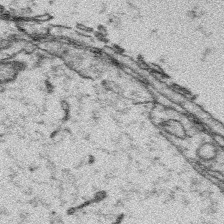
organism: Platynereis dumerilii